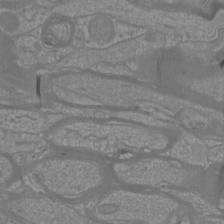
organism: Mouse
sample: Cortical neurons